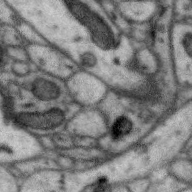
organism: Zebra finch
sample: Brain